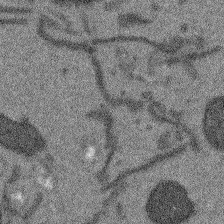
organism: Arabidopsis thaliana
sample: Root tip